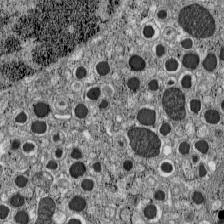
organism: C57BL Mouse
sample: Pancreatic islet